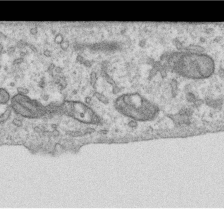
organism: Human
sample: Centriole in RPE cells